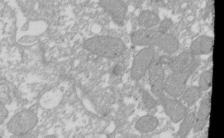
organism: Xenopus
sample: Cilia; centrioles in frog embryo cells